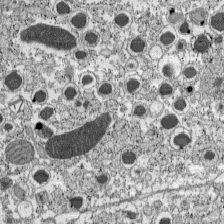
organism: C57BL Mouse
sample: Pancreatic islet